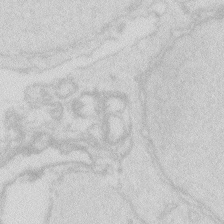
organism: Zebrafish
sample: Macrophage